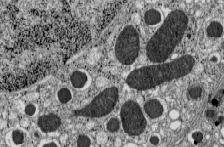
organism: C57BL Mouse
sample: Pancreatic islet